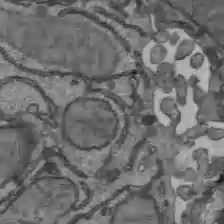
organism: C57BL Mouse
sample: Liver